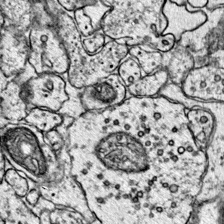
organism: Mouse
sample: Primary visual cortex